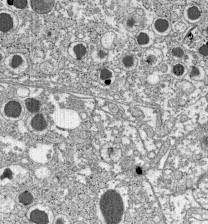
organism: C57BL Mouse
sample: Pancreatic islet